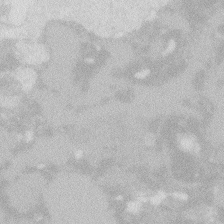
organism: Zebrafish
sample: Macrophage